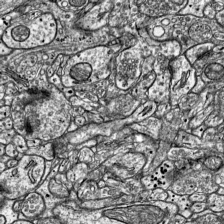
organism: Mouse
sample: Visual Cortex